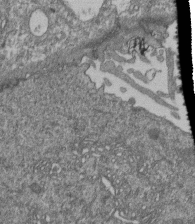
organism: Human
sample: Retinal organoid Rod and Cone cells